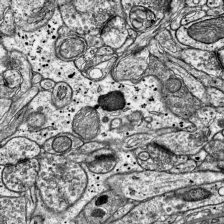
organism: Mouse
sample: Visual Cortex